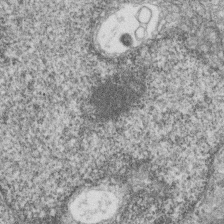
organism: Zebrafish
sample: Cilia; retinal pigment epithelium